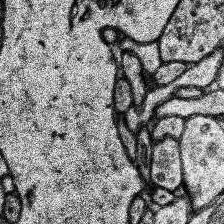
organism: Human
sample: Temporal Lobe